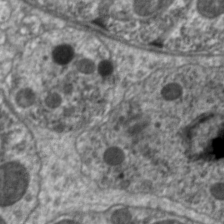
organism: C. elegans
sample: Pharynx